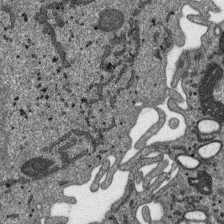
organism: Human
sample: Lung epithelial cells infected with SARS-CoV-2